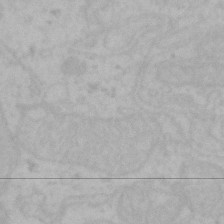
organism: Mouse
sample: Choroid plexus